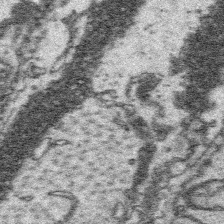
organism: Platynereis dumerilii